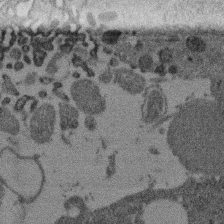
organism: Mouse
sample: Dividing mouse embryo 1 cell stage